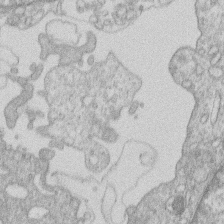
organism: Human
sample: Macrophage cells